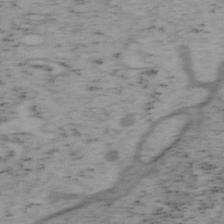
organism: Mouse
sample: OT-I killer T cells with ID8 ovarian cancer cells